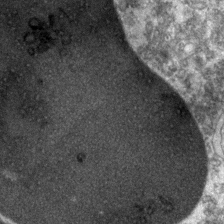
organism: Zebrafish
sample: Zebrafish embryo